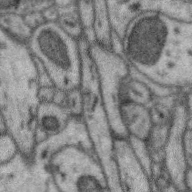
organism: Zebra finch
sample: Brain